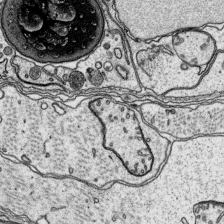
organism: Platynereis dumerilii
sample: Parapodia